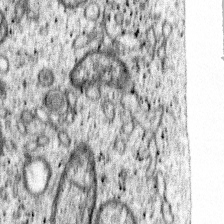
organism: Human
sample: HeLa cells